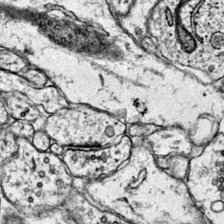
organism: Mouse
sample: Primary visual cortex